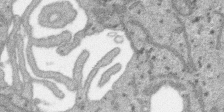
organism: Human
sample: Lung epithelial cells infected with SARS-CoV-2